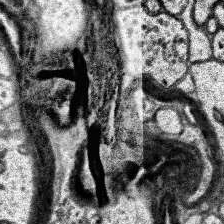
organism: Human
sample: Temporal Lobe